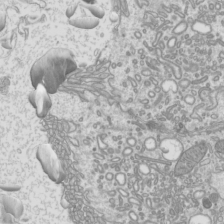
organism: Mouse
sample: Cilia; mouse epididymis